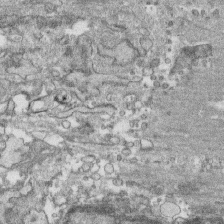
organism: Human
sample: CRL-1474